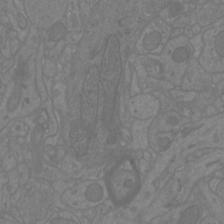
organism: Mouse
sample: Cortical neurons